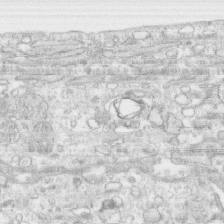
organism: Human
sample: CRL-1474